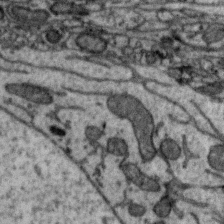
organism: Zebra finch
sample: Brain